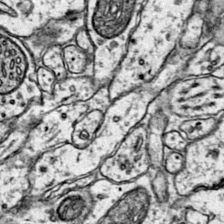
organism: Mouse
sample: Primary visual cortex